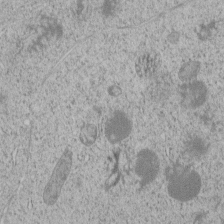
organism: C. elegans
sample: C. elegans embryo early stage